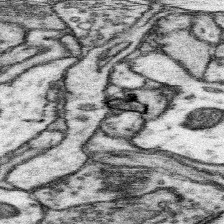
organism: Mouse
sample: Somatosensory cortex neuropil